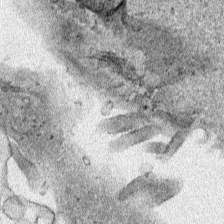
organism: Human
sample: Mitochondria in HCT116 cells